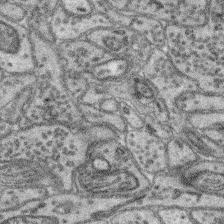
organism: Mouse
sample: Retina